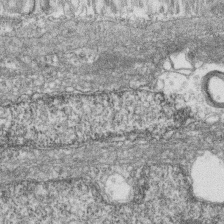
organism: Zebrafish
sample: Cilia; retinal pigment epithelium